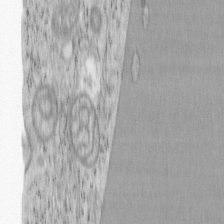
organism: Human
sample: HeLa cells